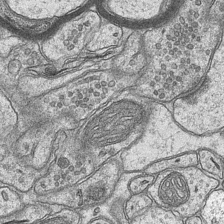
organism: Mouse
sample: CA1 Hippocampus